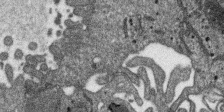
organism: Human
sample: Lung epithelial cells infected with SARS-CoV-2